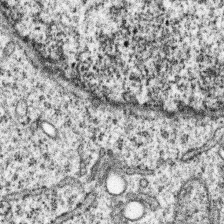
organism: Human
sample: HeLa cells